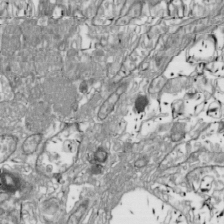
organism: Drosophila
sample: Cell division; meiosis; drosophila spermatocytes